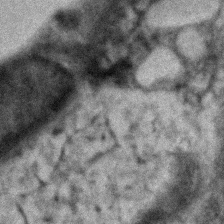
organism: Zebrafish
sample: Zebrafish embryo